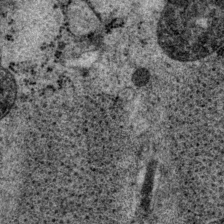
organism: P. pacificus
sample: Pharynx